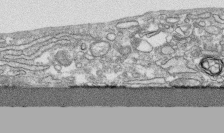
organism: Human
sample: CRL-1474